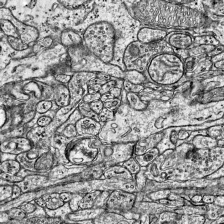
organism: Mouse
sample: Visual Cortex